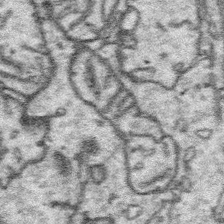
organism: Platynereis dumerilii